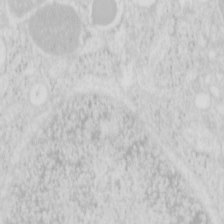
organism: Mouse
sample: Pancreas